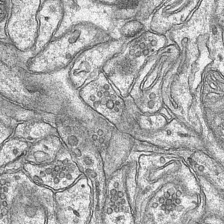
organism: Mouse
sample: CA1 Hippocampus